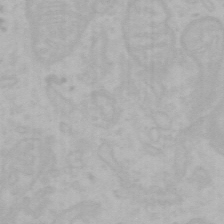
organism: Mouse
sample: Choroid plexus